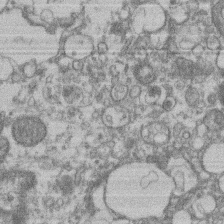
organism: Mouse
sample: T cell stromal cell synapse